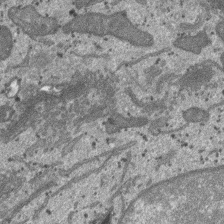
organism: Human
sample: Lung epithelial cells infected with SARS-CoV-2